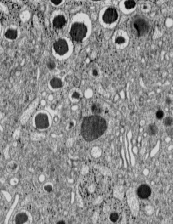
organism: C57BL Mouse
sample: Pancreatic islet